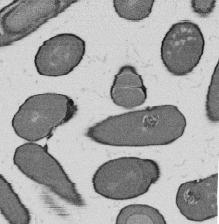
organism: B. subtilis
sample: Bacterial spore